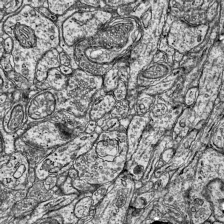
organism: Mouse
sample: Visual Cortex